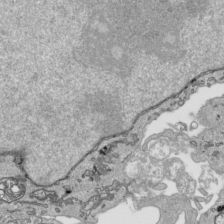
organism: Human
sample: Mitochondria in HCT116 cells